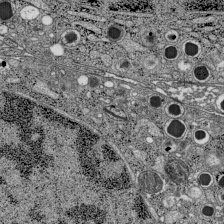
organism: C57BL Mouse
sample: Pancreatic islet